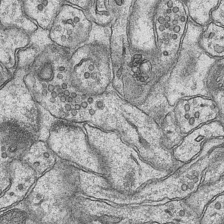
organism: Mouse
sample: CA1 Hippocampus